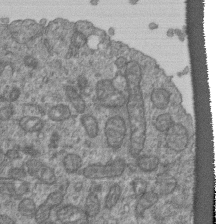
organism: Human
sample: Retinal organoid Rod and Cone cells